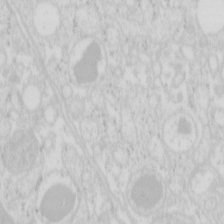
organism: Mouse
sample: Pancreas